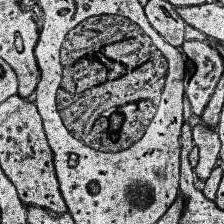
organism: Human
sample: Temporal Lobe